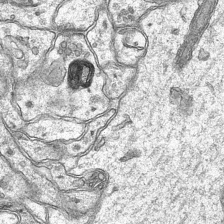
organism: Mouse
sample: CA1 Hippocampus